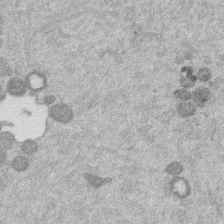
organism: Mouse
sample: Dividing mouse embryo 1 cell stage